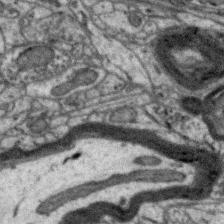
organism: Zebra finch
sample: Brain